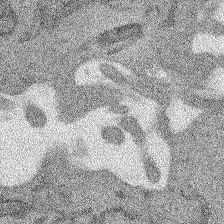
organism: Human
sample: HeLa cells